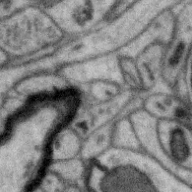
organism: Zebra finch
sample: Brain